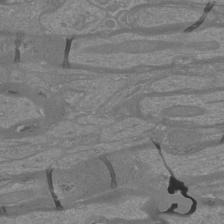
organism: Mouse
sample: Cortical neurons